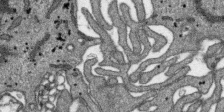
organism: Human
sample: Lung epithelial cells, uninfected (mock) control